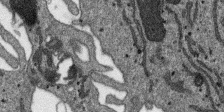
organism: Human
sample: Lung epithelial cells infected with SARS-CoV-2